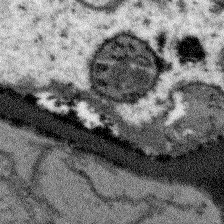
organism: Arabidopsis thaliana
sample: Root tip